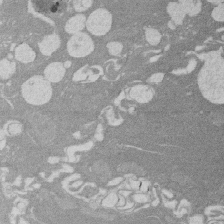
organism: Rat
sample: Salivary granule